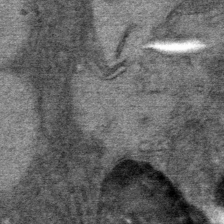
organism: Mouse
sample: Mouse Salivary gland